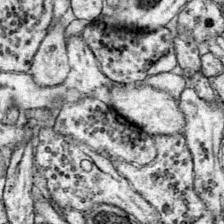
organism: Mouse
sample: Primary visual cortex